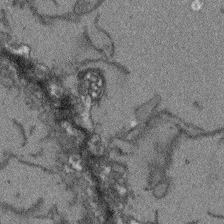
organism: Arabidopsis thaliana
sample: Root tip